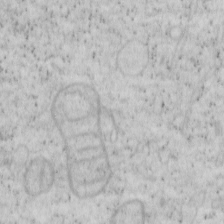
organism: Human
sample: HeLa cells